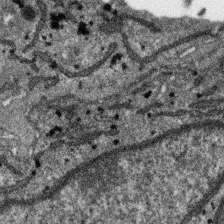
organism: Human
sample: Lung epithelial cells infected with SARS-CoV-2